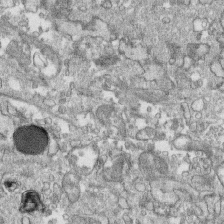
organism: Human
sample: CRL-1474